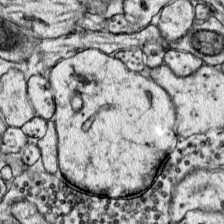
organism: Mouse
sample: Primary visual cortex